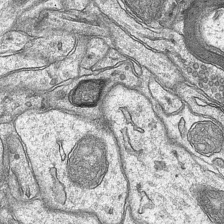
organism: Mouse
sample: CA1 Hippocampus